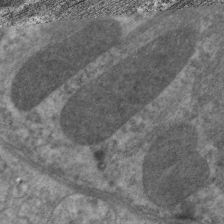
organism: C. elegans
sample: Pharynx